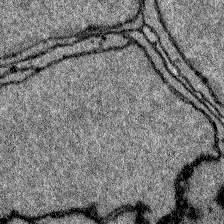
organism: Zebrafish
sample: Larval olfactory bulb